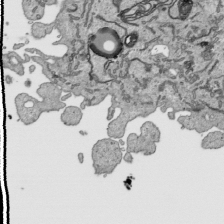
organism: Human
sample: Mitochondria in HCT116 cells